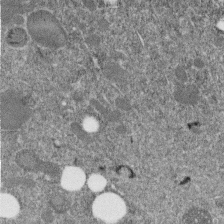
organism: C. elegans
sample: C. elegans embryo early stage